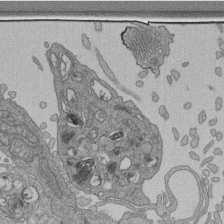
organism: Human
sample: Retinal organoid Rod and Cone cells